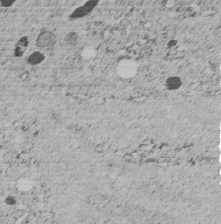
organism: C. elegans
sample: C. elegans embryo early stage